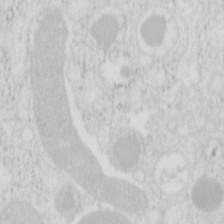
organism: Mouse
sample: Pancreas